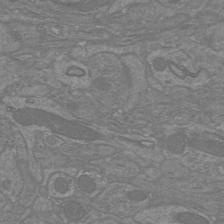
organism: Mouse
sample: Cortical neurons